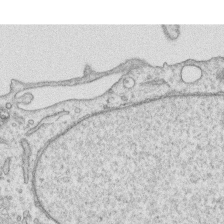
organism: Human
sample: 1205lu cells